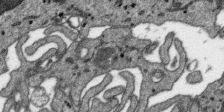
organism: Human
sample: Lung epithelial cells, uninfected (mock) control